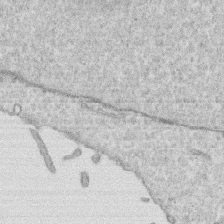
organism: Human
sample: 1205lu cells